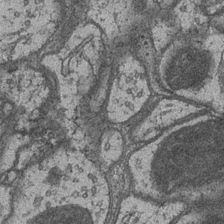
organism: Drosophila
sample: Optic medulla